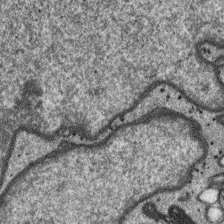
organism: Human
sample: Lung epithelial cells infected with SARS-CoV-2